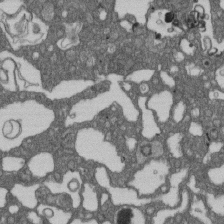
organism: Drosophila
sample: Nephrocyte